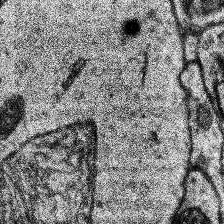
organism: Human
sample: Temporal Lobe